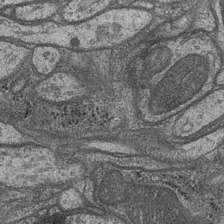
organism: Drosophila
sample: Optic medulla